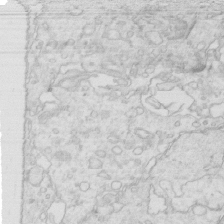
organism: Mouse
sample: Multiciliated cells